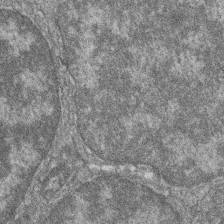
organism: Zebrafish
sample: Cilia; retinal pigment epithelium